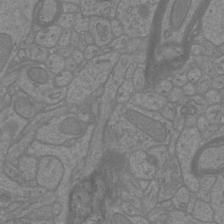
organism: Mouse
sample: Cortical neurons